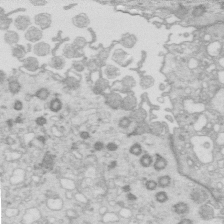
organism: Mouse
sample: Multiciliated cells